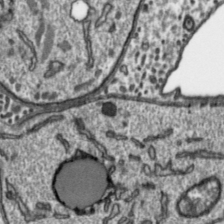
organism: Toxoplasma gondii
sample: Parasites in a vacuole inside a host cell